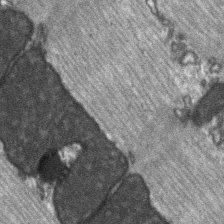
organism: C57BL Mouse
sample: Soleus